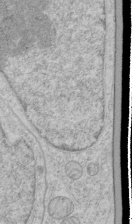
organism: Human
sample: Mitochondria in HCT116 cells